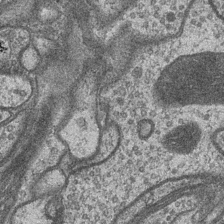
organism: Drosophila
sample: Optic medulla